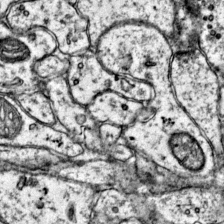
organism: Mouse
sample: Primary visual cortex